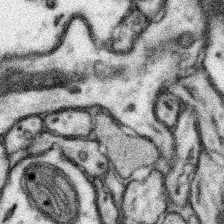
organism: Mouse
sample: Somatosensory cortex neuropil